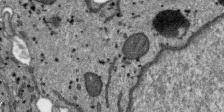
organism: Human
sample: Lung epithelial cells, uninfected (mock) control